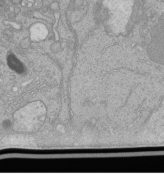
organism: Human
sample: Retinal organoid Rod and Cone cells